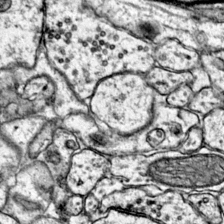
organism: Mouse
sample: Primary visual cortex